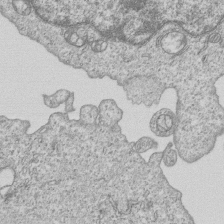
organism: Human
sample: MDA-MB-231 cells